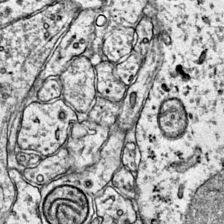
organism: Mouse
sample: Primary visual cortex